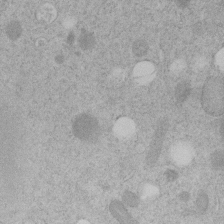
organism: C. elegans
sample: C. elegans embryo early stage